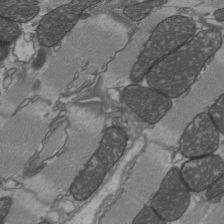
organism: C57BL Mouse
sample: Heart